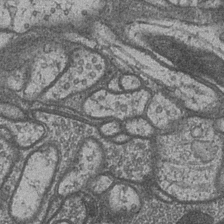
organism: Drosophila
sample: Optic medulla